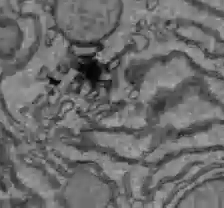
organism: C57BL Mouse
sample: Liver